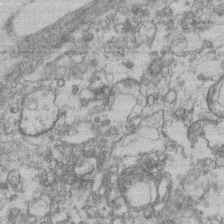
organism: Mouse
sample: T cell stromal cell synapse